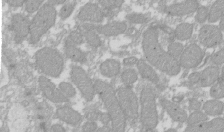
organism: Xenopus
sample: Cilia; centrioles in frog embryo cells